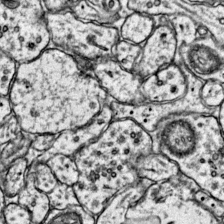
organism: Mouse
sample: Primary visual cortex